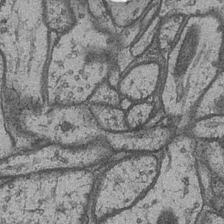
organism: Drosophila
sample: Optic medulla